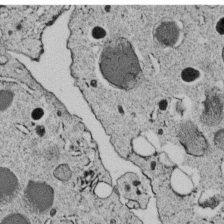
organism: C. elegans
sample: C. elegans embryo early stage